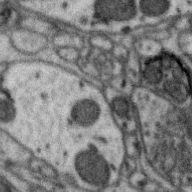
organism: Zebra finch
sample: Brain